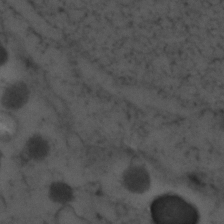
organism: Zebrafish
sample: Zebrafish embryo